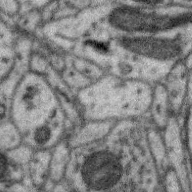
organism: Zebra finch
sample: Brain